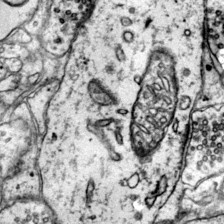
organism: Mouse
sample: Primary visual cortex